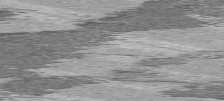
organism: C57BL Mouse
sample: Heart